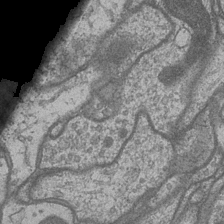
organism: Drosophila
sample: Optic medulla